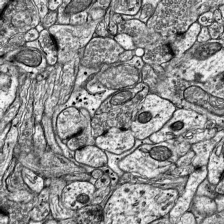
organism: Mouse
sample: Visual Cortex